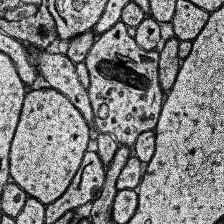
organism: Human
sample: Temporal Lobe